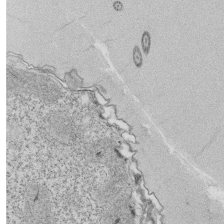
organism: Tetrahymena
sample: Cilia in tetrahymena